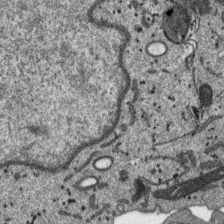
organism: Human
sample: Lung epithelial cells infected with SARS-CoV-2